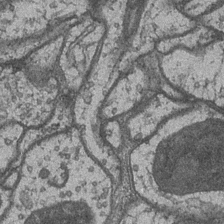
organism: Drosophila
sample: Optic medulla